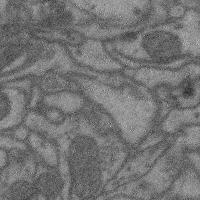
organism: Mouse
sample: Cerebral cortex